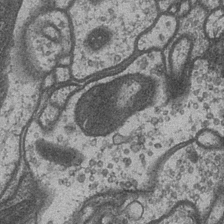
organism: Drosophila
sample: Optic medulla